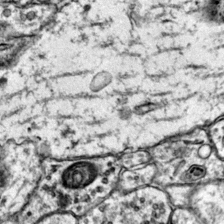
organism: Mouse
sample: Primary visual cortex